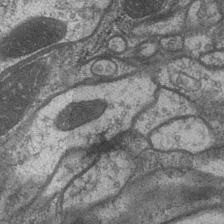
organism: Drosophila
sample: Optic medulla